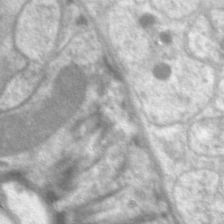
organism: C. elegans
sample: Pharynx